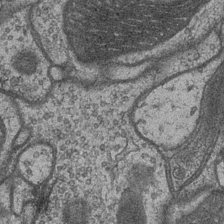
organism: Drosophila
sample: Optic medulla